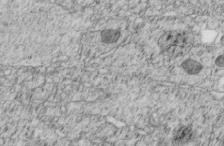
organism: C. elegans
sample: C. elegans embryo early stage